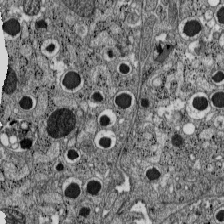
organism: C57BL Mouse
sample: Pancreatic islet